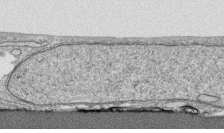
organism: Human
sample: CRL-1474